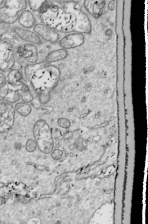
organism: Drosophila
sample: Cell division; meiosis; drosophila spermatocytes